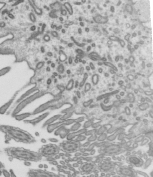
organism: Mouse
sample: Mouse epididymis efferent ductule cilia